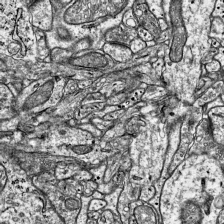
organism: Mouse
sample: Visual Cortex